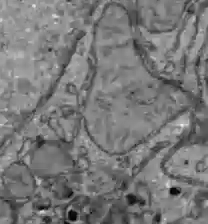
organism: C57BL Mouse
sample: Liver